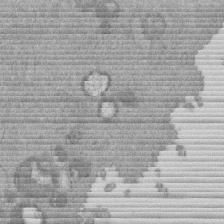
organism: Mouse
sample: Dividing mouse embryo 1 cell stage